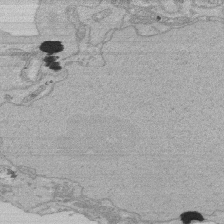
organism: Human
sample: Activated Jurkat CD4+ T cells